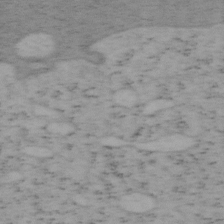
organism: Mouse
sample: OT-I killer T cells with ID8 ovarian cancer cells